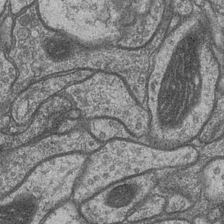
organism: Drosophila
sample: Optic medulla